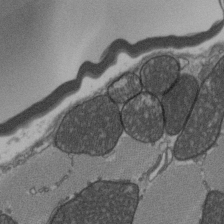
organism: C57BL Mouse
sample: Heart